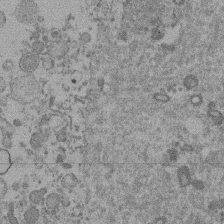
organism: Mouse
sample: Dividing mouse embryo 1 cell stage